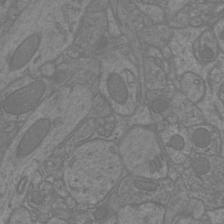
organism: Mouse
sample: Cortical neurons